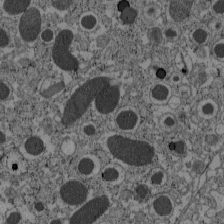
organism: C57BL Mouse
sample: Pancreatic islet